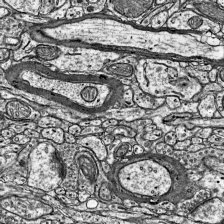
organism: Mouse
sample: Visual Cortex